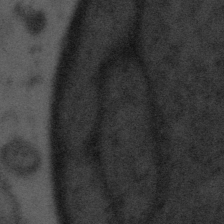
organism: Tuwongella immobilis